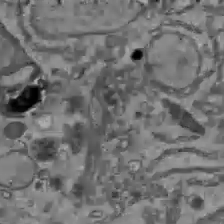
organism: C57BL Mouse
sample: Liver